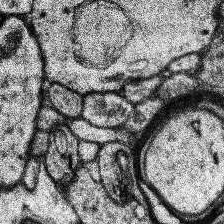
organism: Human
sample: Temporal Lobe